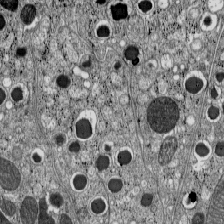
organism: C57BL Mouse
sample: Pancreatic islet